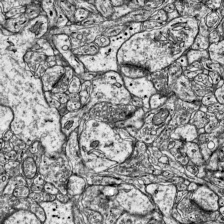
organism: Mouse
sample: Visual Cortex